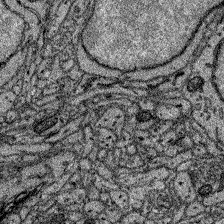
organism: Zebrafish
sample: Larval olfactory bulb